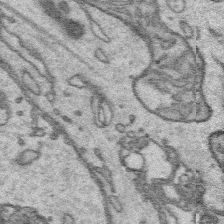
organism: Platynereis dumerilii